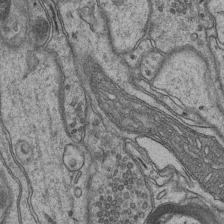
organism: Mouse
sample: CA1 Hippocampus